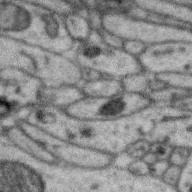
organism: Zebra finch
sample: Brain